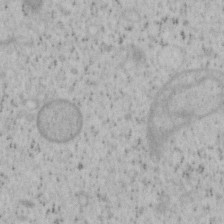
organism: Human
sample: HeLa cells